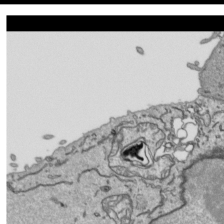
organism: Human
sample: Mitochondria in HCT116 cells